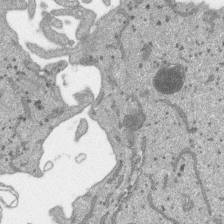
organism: Human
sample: Lung epithelial cells infected with SARS-CoV-2